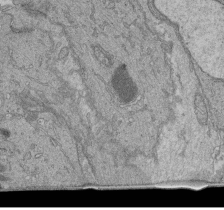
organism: Human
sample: Retinal organoid Rod and Cone cells